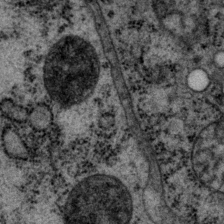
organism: P. pacificus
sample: Pharynx